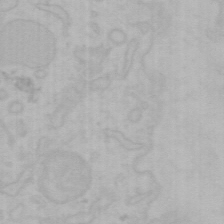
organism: Mouse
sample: Choroid plexus